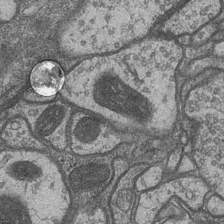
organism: Drosophila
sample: Optic medulla